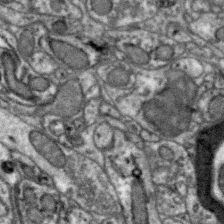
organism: Zebra finch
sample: Brain